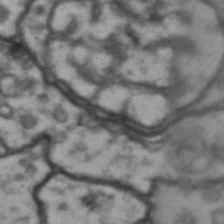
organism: Drosophila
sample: Brain